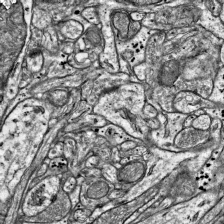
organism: Mouse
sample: Visual Cortex